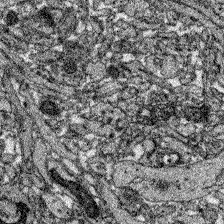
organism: Zebrafish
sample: Larval olfactory bulb